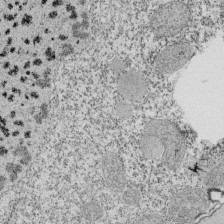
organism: Tetrahymena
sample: Cilia in tetrahymena